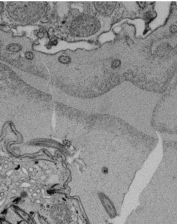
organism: Tetrahymena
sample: Cilia in tetrahymena